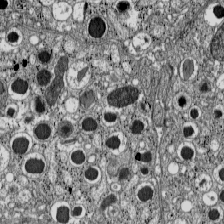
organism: C57BL Mouse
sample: Pancreatic islet